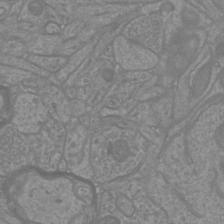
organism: Mouse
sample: Cortical neurons